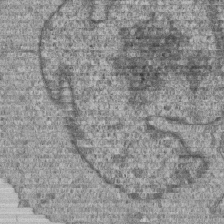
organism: Human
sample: MDA-MB-231 cells